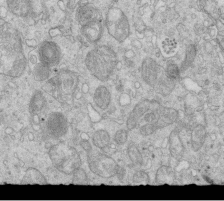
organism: Mouse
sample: Multiciliated cells